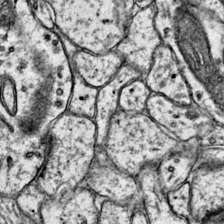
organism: Mouse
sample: Primary visual cortex